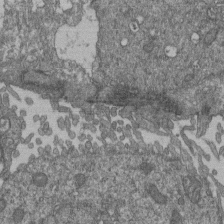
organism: Human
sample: Retinal organoid Rod and Cone cells